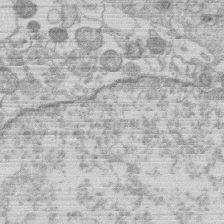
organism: Human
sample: Macrophage cells